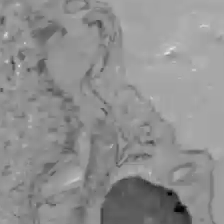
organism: C57BL Mouse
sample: Liver